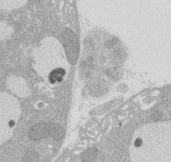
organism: Rat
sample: Salivary granule